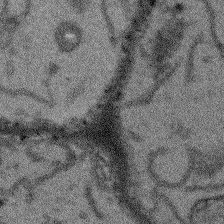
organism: Arabidopsis thaliana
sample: Root tip